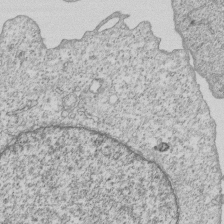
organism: Human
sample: MDA-MB-231 cells